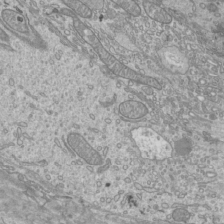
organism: Mouse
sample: Cilia; mouse epididymis